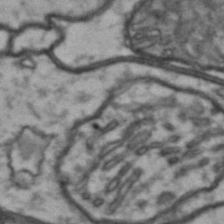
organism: Drosophila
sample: Brain